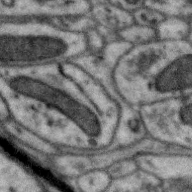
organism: Zebra finch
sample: Brain